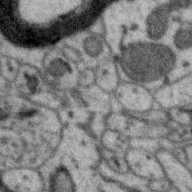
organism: Zebra finch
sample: Brain